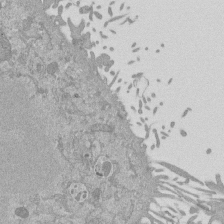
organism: Mouse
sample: ED-1 cell nuclei; centrioles